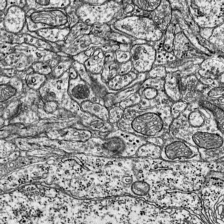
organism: Mouse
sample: Visual Cortex